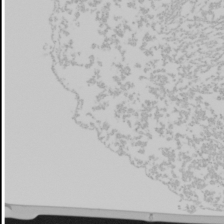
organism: Mouse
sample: Cancer cell death in ED-1 cells